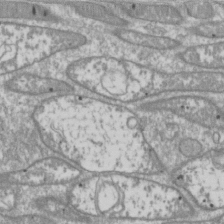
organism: Drosophila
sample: Cell division; meiosis; drosophila spermatocytes